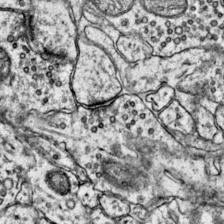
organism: Mouse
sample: Primary visual cortex